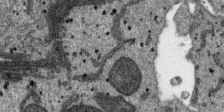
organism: Human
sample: Lung epithelial cells, uninfected (mock) control